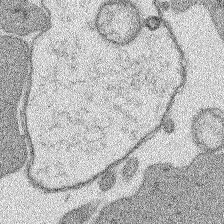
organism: Human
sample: HeLa cells